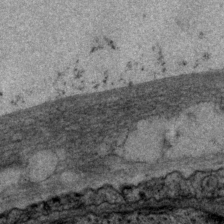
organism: P. pacificus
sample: Pharynx